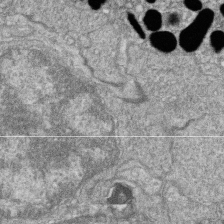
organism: Zebrafish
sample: Cilia; retinal pigment epithelium